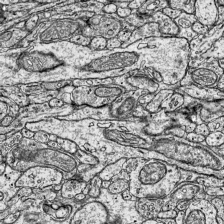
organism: Mouse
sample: Visual Cortex